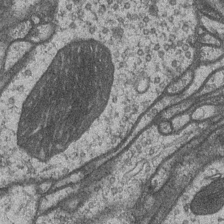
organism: Drosophila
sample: Optic medulla